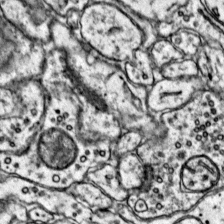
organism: Mouse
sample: Primary visual cortex